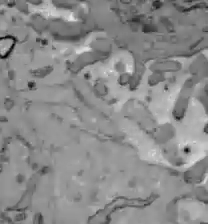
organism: C57BL Mouse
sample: Liver